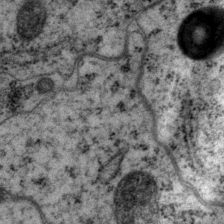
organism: P. pacificus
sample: Pharynx